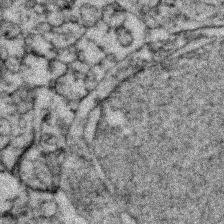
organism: Zebrafish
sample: Zebrafish embryo